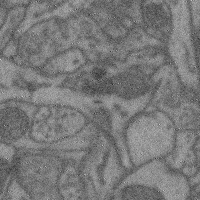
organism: Mouse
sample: Cerebral cortex